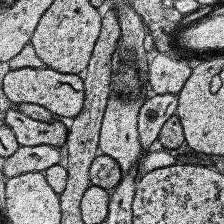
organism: Human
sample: Temporal Lobe